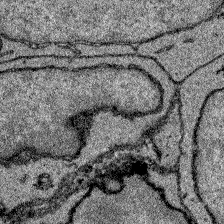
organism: Zebrafish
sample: Larval olfactory bulb